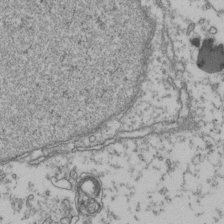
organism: Human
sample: Activated Jurkat CD4+ T cells